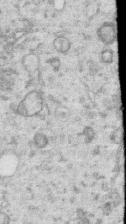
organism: Human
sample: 1205lu cells